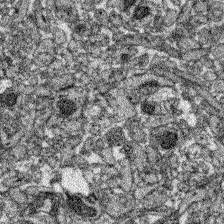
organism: Zebrafish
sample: Larval olfactory bulb